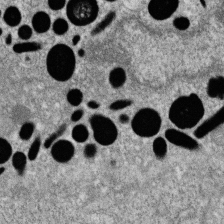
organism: Zebrafish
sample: Cilia; retinal pigment epithelium